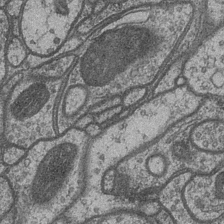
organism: Drosophila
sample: Optic medulla